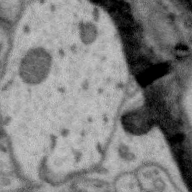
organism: Zebra finch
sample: Brain